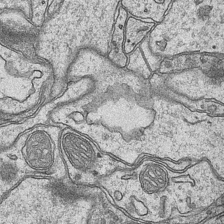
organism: Mouse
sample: CA1 Hippocampus